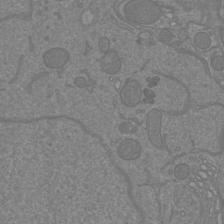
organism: Mouse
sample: Cortical neurons